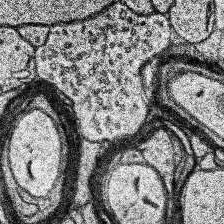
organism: Human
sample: Temporal Lobe